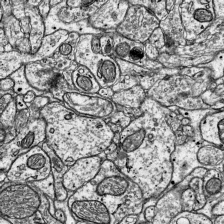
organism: Mouse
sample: Visual Cortex